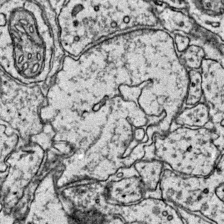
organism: Mouse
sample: Primary visual cortex